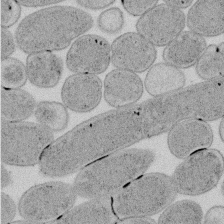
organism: E. coli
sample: Bacterial nucleoid